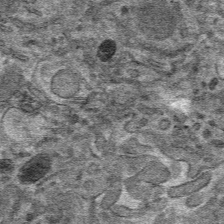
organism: Mouse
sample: Mouse hepatocytes